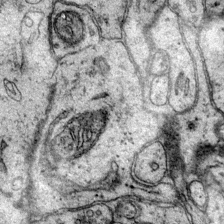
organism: Mouse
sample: Primary visual cortex